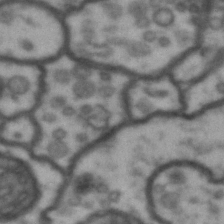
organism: Drosophila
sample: Brain